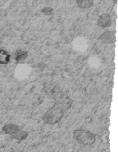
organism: C. elegans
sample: C. elegans embryo early stage